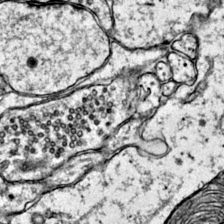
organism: Mouse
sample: Primary visual cortex